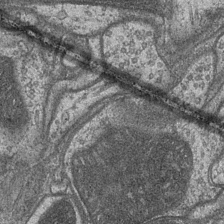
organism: Drosophila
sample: Optic medulla